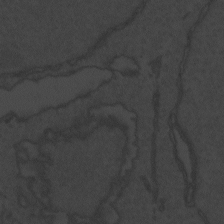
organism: Zebrafish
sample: Macrophage infected with Toxoplasma gondii